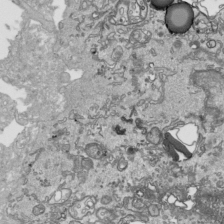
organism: Human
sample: Mitochondria in HCT116 cells